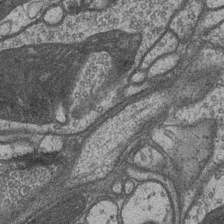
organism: Drosophila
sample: Optic medulla